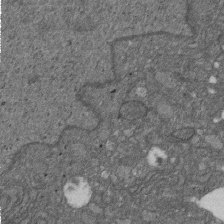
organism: Drosophila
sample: Nephrocyte